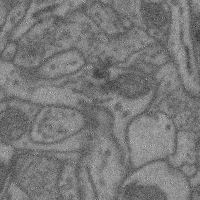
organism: Mouse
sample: Cerebral cortex